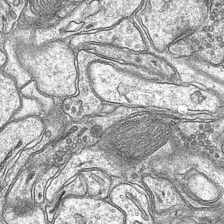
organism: Mouse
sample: CA1 Hippocampus